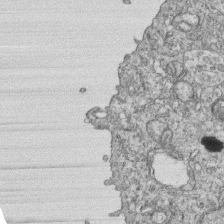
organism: Human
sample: HeLa cell HIV synapse